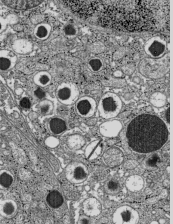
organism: C57BL Mouse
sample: Pancreatic islet